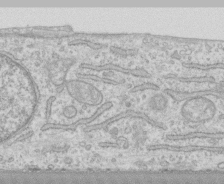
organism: Human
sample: CRL-1474